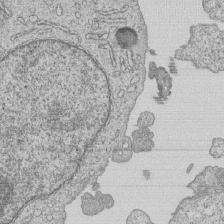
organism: Human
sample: MDA-MB-231 cells